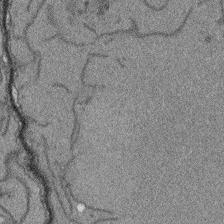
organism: Arabidopsis thaliana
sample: Root tip